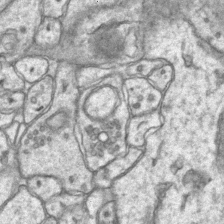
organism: Mouse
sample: CA1 Hippocampus